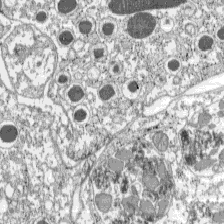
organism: C57BL Mouse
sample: Pancreatic islet